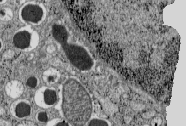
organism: C57BL Mouse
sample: Pancreatic islet